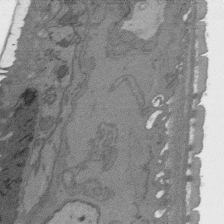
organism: C. elegans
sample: AFD neurons C. elegans